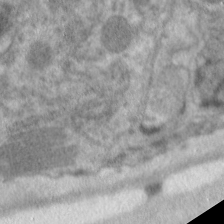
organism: C. elegans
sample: Pharynx